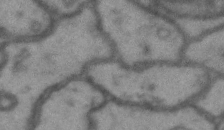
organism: Drosophila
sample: Brain